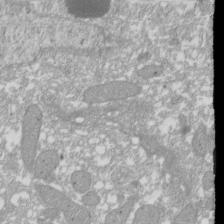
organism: Xenopus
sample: Cilia; centrioles in frog embryo cells